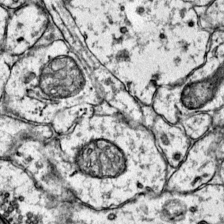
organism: Mouse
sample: Primary visual cortex